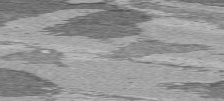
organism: C57BL Mouse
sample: Heart